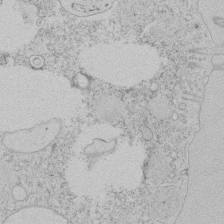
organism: Tetrahymena